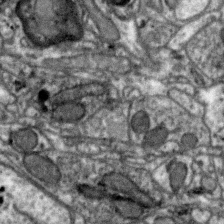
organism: Zebra finch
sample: Brain